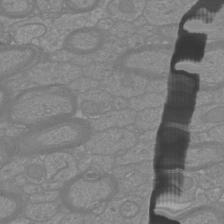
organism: Mouse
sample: Cortical neurons